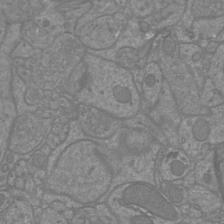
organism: Mouse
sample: Cortical neurons